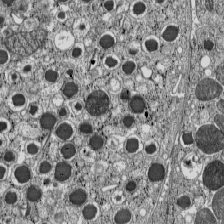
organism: C57BL Mouse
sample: Pancreatic islet